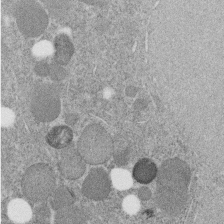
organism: C. elegans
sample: C. elegans embryo early stage